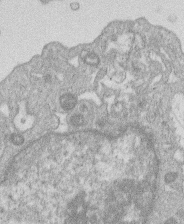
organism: Human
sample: Macrophage cells